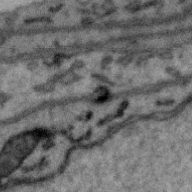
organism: Zebra finch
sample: Brain